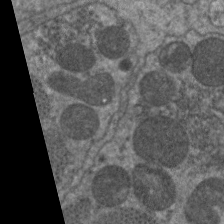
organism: C. elegans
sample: Pharynx